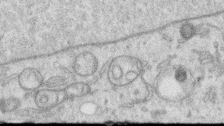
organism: Human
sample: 1205lu cells